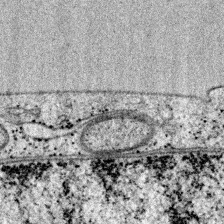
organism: Human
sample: HeLa cells